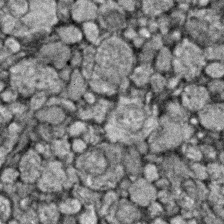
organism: Zebrafish